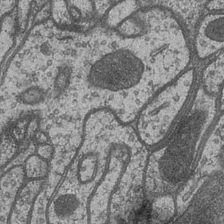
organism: Drosophila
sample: Optic medulla